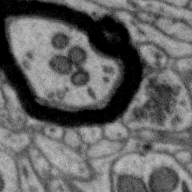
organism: Zebra finch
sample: Brain